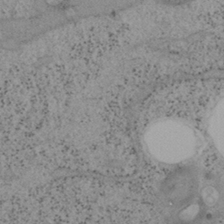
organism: Mouse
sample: OT-I killer T cells with ID8 ovarian cancer cells